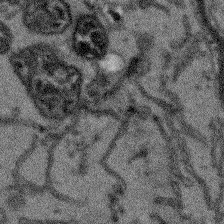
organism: Arabidopsis thaliana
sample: Root tip